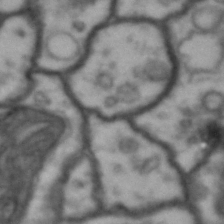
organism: Drosophila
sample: Brain